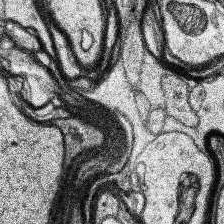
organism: Human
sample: Temporal Lobe